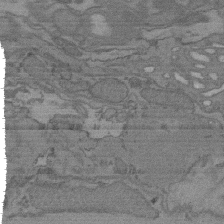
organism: C. elegans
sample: AFD neurons C. elegans